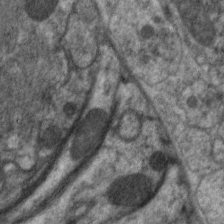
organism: C. elegans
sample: Pharynx